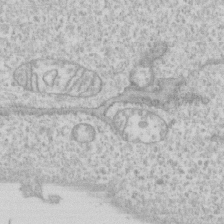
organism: Human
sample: CRL-1474